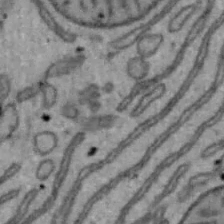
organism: Mouse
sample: Liver